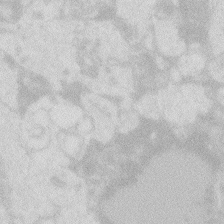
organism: Zebrafish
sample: Macrophage